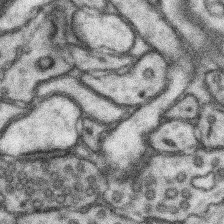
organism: Mouse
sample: Somatosensory cortex neuropil